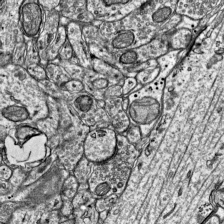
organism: Mouse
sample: Visual Cortex